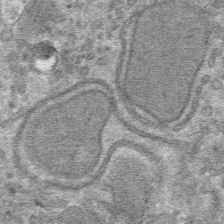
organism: Mouse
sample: Mouse hepatocytes